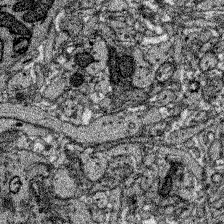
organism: Zebrafish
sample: Larval olfactory bulb